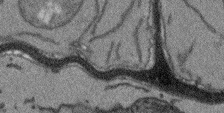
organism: Arabidopsis thaliana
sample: Root tip